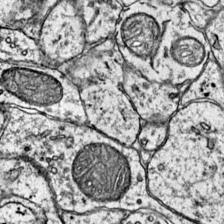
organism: Mouse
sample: Primary visual cortex